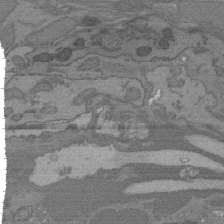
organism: C. elegans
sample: AFD neurons C. elegans